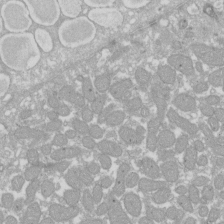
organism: Xenopus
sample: Cilia; centrioles in frog embryo cells